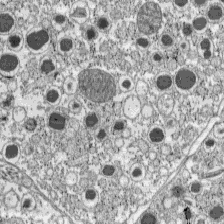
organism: C57BL Mouse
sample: Pancreatic islet